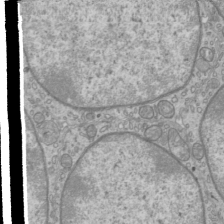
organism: Mouse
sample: Cilia; mouse epididymis